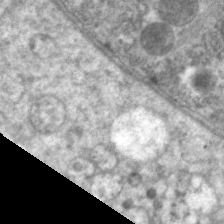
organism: C. elegans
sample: Pharynx